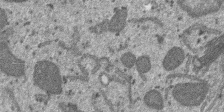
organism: Human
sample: Lung epithelial cells infected with SARS-CoV-2